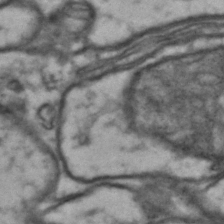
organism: Drosophila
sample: Brain